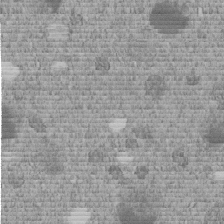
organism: C. elegans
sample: C. elegans embryo early stage